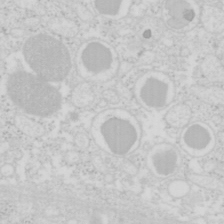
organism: Mouse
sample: Pancreas